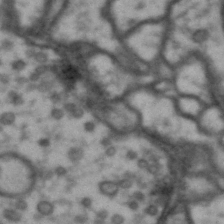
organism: Drosophila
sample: Brain